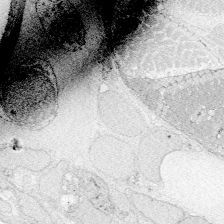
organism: Zebrafish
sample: Whole-Brain